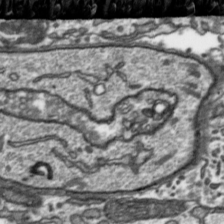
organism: Toxoplasma gondii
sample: Parasites in a vacuole inside a host cell